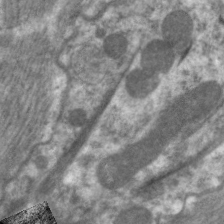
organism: C. elegans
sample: Pharynx